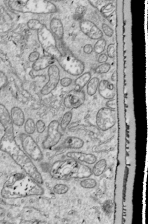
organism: Drosophila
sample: Cell division; meiosis; drosophila spermatocytes